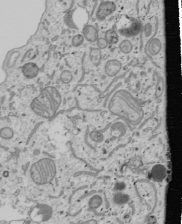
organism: Human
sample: Mitochondria in U2OS cells